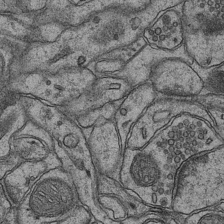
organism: Mouse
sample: CA1 Hippocampus